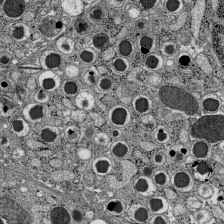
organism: C57BL Mouse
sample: Pancreatic islet